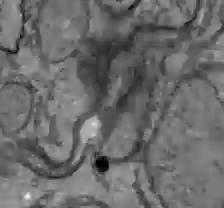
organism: C57BL Mouse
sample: Liver